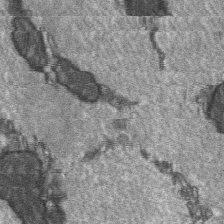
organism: C57BL Mouse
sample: Soleus